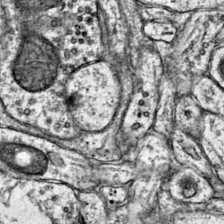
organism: Mouse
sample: Primary visual cortex